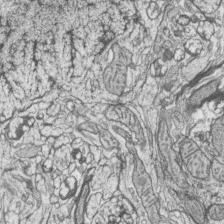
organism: Zebrafish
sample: synaptic ribbons in rod cells and cone cells